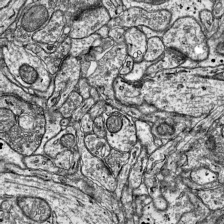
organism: Mouse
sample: Visual Cortex